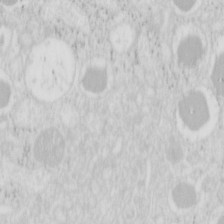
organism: Mouse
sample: Pancreas